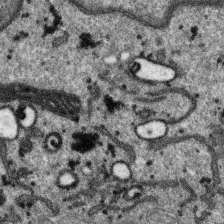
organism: Human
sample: Lung epithelial cells infected with SARS-CoV-2